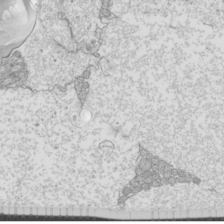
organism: Mouse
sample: Cilia; mouse epididymis